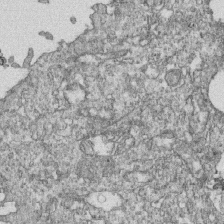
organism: Human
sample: HeLa cell HIV synapse